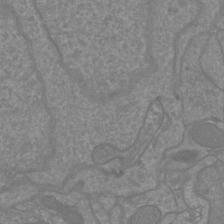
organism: Mouse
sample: Cortical neurons